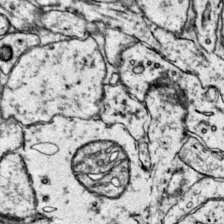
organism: Mouse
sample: Primary visual cortex